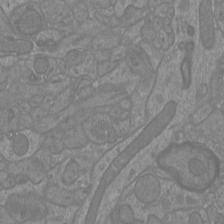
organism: Mouse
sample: Cortical neurons